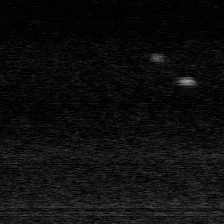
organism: Human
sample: HeLa cells